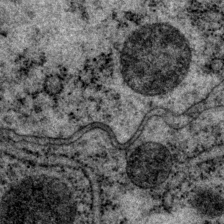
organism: P. pacificus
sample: Pharynx